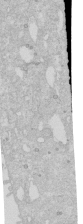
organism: Human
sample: Caco-2 cells